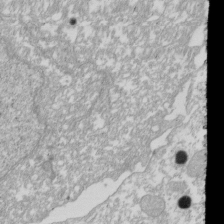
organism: Xenopus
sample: Cilia; centrioles in frog embryo cells